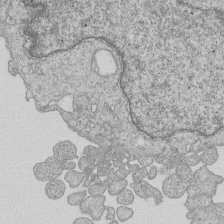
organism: Human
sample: MDA-MB-231 cells